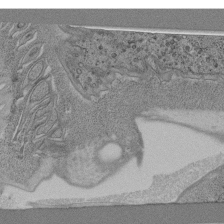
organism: C. elegans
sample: C. elegans pharynx